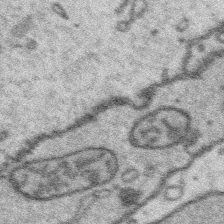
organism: Platynereis dumerilii